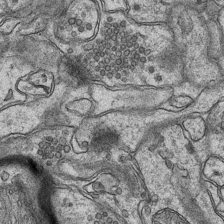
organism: Mouse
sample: CA1 Hippocampus